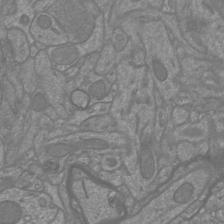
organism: Mouse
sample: Cortical neurons